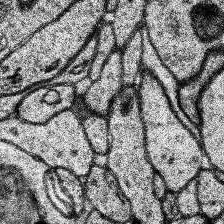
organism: Human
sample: Temporal Lobe